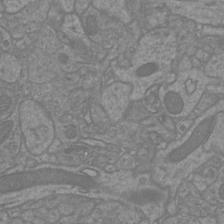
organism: Mouse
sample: Cortical neurons